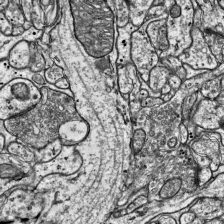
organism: Mouse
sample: Visual Cortex